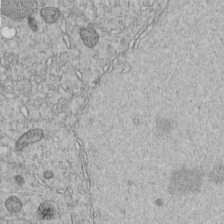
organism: C. elegans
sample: C. elegans embryo early stage